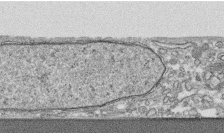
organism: Human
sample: CRL-1474